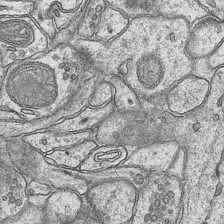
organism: Mouse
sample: CA1 Hippocampus